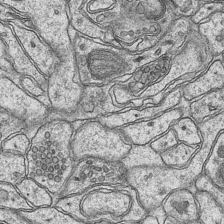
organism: Mouse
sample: CA1 Hippocampus